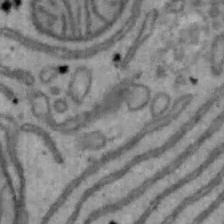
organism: Mouse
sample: Liver